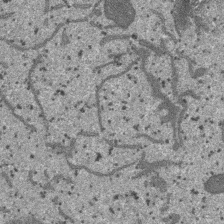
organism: Human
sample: Lung epithelial cells infected with SARS-CoV-2